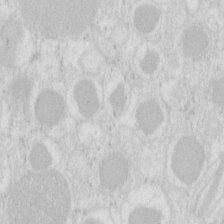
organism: Mouse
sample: Pancreas